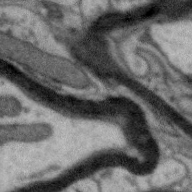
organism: Zebra finch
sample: Brain